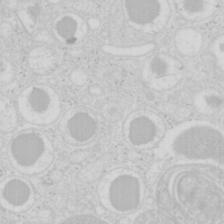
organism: Mouse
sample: Pancreas